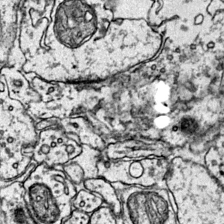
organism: Mouse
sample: Primary visual cortex